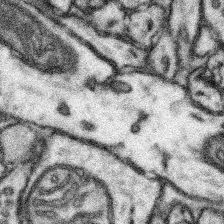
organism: Mouse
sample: Somatosensory cortex neuropil